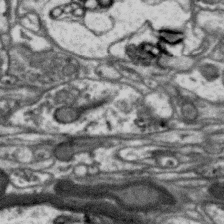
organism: Zebra finch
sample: Brain